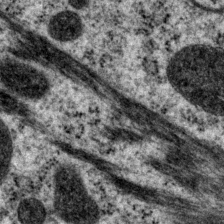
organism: P. pacificus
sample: Pharynx